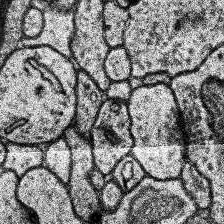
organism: Human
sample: Temporal Lobe